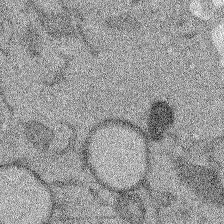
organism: Human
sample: HeLa cells